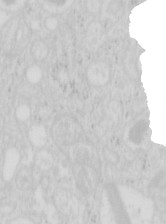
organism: Mouse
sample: Pancreas